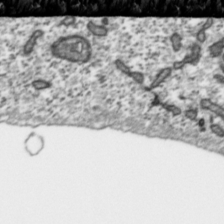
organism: Toxoplasma gondii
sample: Parasites in a vacuole inside a host cell